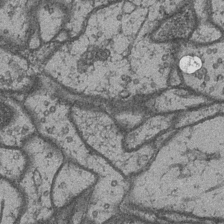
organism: Drosophila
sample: Optic medulla